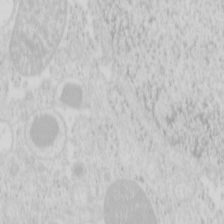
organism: Mouse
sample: Pancreas